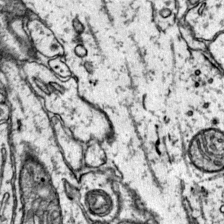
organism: Mouse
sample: Primary visual cortex